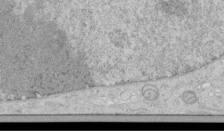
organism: Human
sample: Mitochondria in HCT116 cells